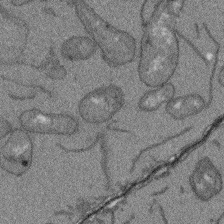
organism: Arabidopsis thaliana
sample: Root tip